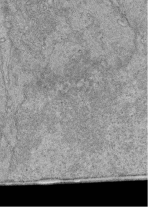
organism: Human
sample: Retinal organoid Rod and Cone cells